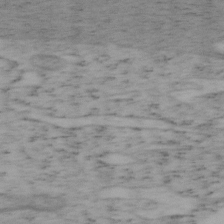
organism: Mouse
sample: OT-I killer T cells with ID8 ovarian cancer cells